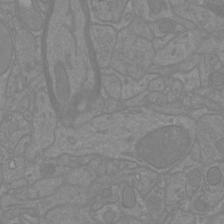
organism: Mouse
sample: Cortical neurons